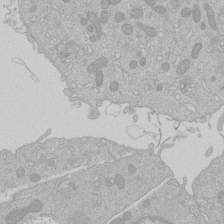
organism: Human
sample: Macrophage cells